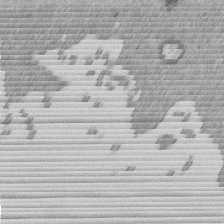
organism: Mouse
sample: Dividing mouse embryo 1 cell stage